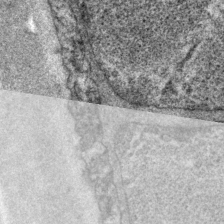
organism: P. pacificus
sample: Pharynx